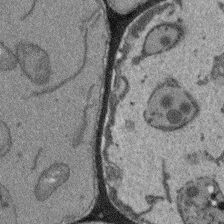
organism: Arabidopsis thaliana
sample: Root tip